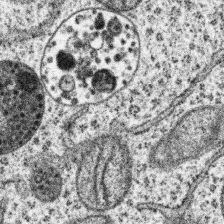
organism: Human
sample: HeLa cells